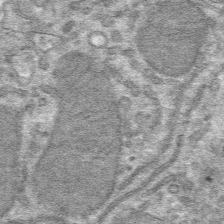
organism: Mouse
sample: Mouse hepatocytes